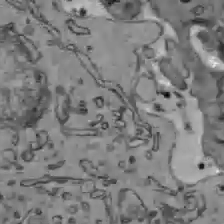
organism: C57BL Mouse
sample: Liver